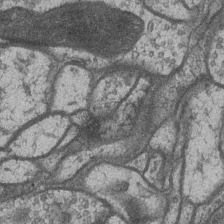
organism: Drosophila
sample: Optic medulla